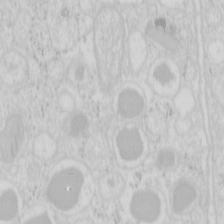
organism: Mouse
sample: Pancreas